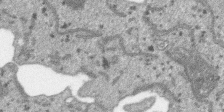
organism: Human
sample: Lung epithelial cells infected with SARS-CoV-2